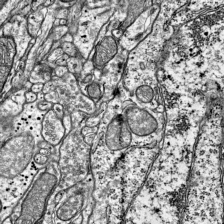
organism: Mouse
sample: Visual Cortex